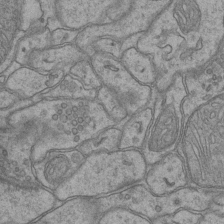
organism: Mouse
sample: CA1 Hippocampus